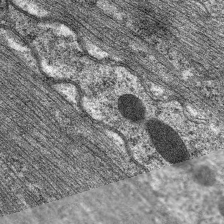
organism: C. elegans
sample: Pharynx